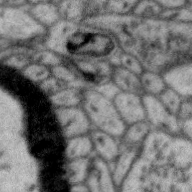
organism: Zebra finch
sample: Brain